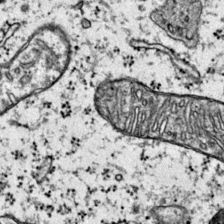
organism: Mouse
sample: Primary visual cortex